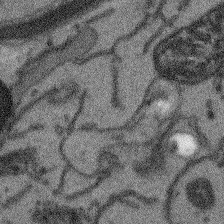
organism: Arabidopsis thaliana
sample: Root tip